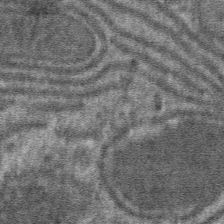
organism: Mouse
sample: Mouse hepatocytes